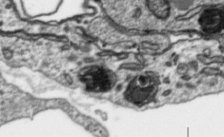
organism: Toxoplasma gondii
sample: Parasites in a vacuole inside a host cell